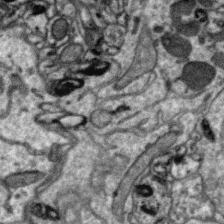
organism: Zebra finch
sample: Brain